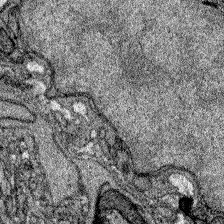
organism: Zebrafish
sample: Larval olfactory bulb